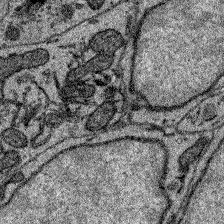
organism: Zebrafish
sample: Larval olfactory bulb